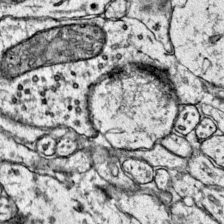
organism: Mouse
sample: Primary visual cortex